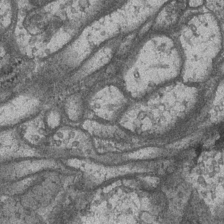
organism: Drosophila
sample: Optic medulla